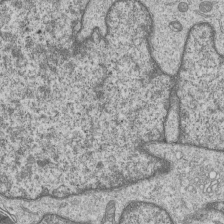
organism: Human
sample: MDA-MB-231 cells